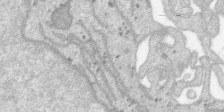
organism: Human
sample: Lung epithelial cells infected with SARS-CoV-2